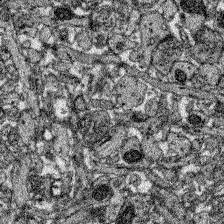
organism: Zebrafish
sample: Larval olfactory bulb